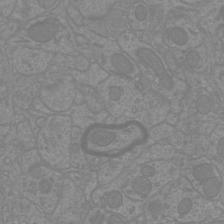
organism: Mouse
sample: Cortical neurons